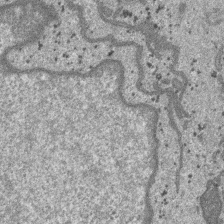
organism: Human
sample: Lung epithelial cells infected with SARS-CoV-2